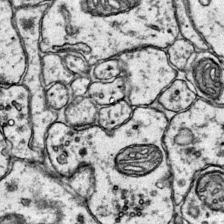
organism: Mouse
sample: Primary visual cortex